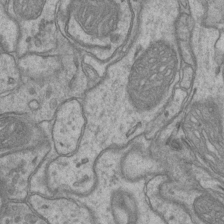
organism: Mouse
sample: CA1 Hippocampus